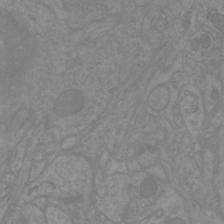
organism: Mouse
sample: Cortical neurons